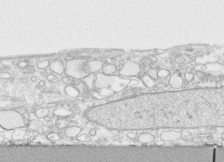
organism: Human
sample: CRL-1474